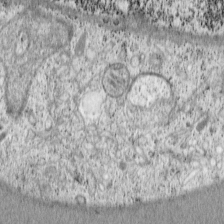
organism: African green monkey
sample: COS-7 cells